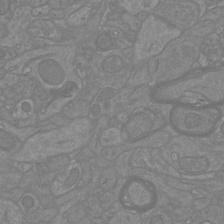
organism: Mouse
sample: Cortical neurons